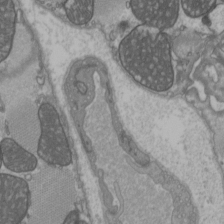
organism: C57BL Mouse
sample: Heart